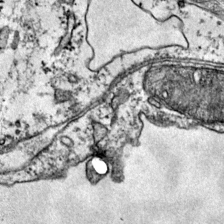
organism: Mouse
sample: Primary visual cortex